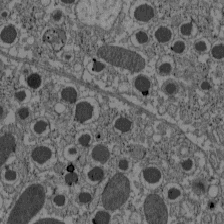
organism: C57BL Mouse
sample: Pancreatic islet